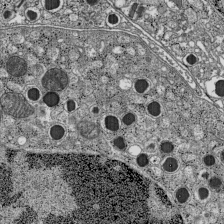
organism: C57BL Mouse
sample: Pancreatic islet